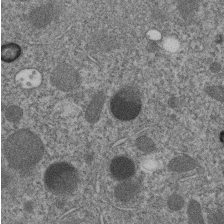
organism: C. elegans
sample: C. elegans embryo early stage